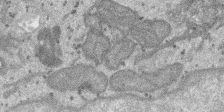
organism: Human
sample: Lung epithelial cells infected with SARS-CoV-2